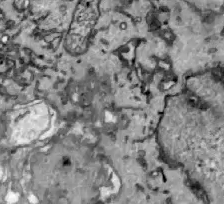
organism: Zebrafish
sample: Actinotrichia fibers